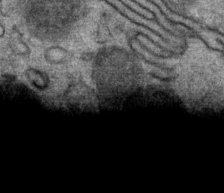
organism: Mouse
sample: Mouse Salivary gland